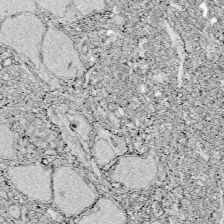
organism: Zebrafish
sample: Whole-Brain